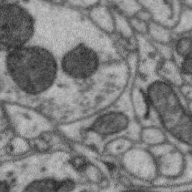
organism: Zebra finch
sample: Brain